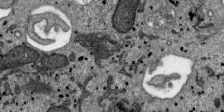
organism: Human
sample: Lung epithelial cells, uninfected (mock) control